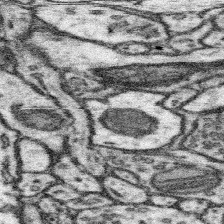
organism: Mouse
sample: Somatosensory cortex neuropil